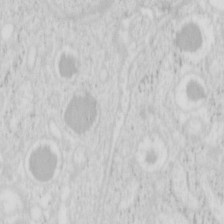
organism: Mouse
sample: Pancreas